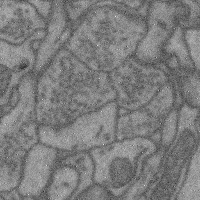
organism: Mouse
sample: Cerebral cortex